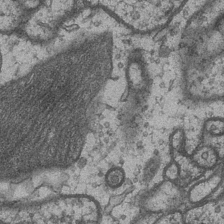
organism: Drosophila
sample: Optic medulla